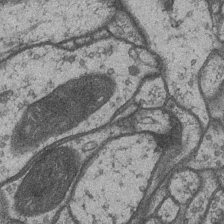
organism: Drosophila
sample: Optic medulla